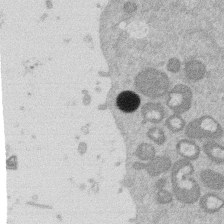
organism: Mouse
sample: Dividing mouse embryo 1 cell stage